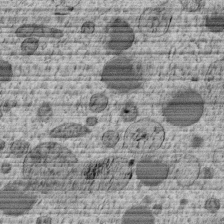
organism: C. elegans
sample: C. elegans embryo early stage